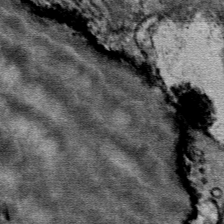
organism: Mouse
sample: Mouse Salivary gland